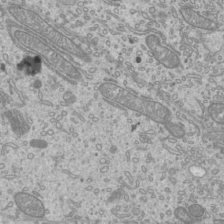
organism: Mouse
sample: Cilia; mouse epididymis